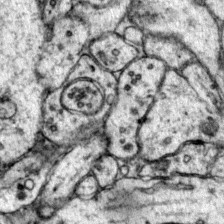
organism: Mouse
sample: Primary visual cortex